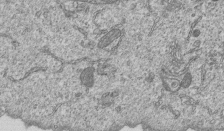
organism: Human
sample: MDA-MB-231 cells